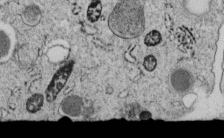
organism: C. elegans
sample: C. elegans embryo early stage